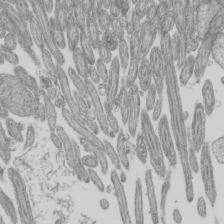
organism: Mouse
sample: Cilia; mouse epididymis